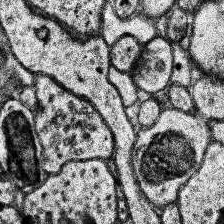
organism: Human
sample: Temporal Lobe